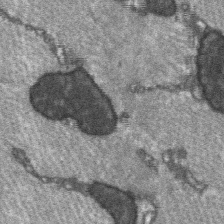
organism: C57BL Mouse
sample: Soleus